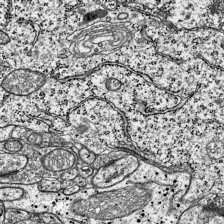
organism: Mouse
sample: Visual Cortex